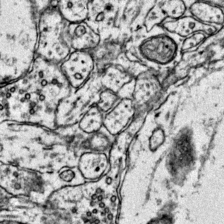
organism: Mouse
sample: Primary visual cortex